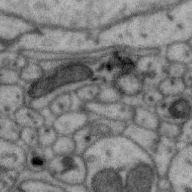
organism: Zebra finch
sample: Brain